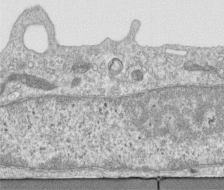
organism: Human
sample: Centriole in RPE cells